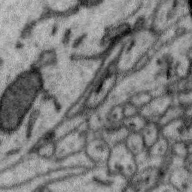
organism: Zebra finch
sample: Brain